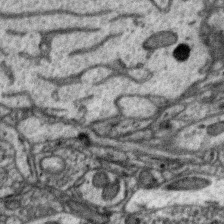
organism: Zebra finch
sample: Brain